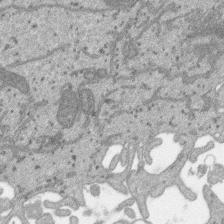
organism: Human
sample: Lung epithelial cells infected with SARS-CoV-2